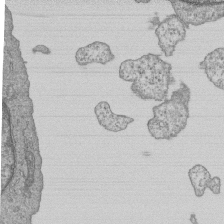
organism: Human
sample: MDA-MB-231 cells